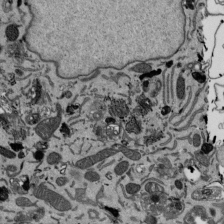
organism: Mouse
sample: ED-1 cell nuclei; centrioles